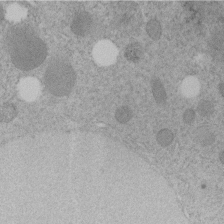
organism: C. elegans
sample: C. elegans embryo early stage